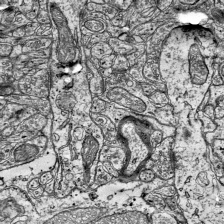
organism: Mouse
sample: Visual Cortex